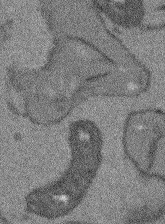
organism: Arabidopsis thaliana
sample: Root tip